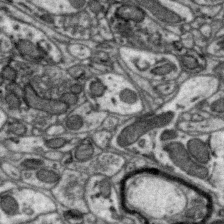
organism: Zebra finch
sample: Brain